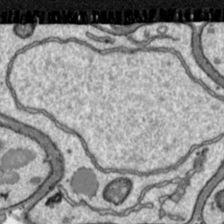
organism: Toxoplasma gondii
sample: Parasites in a vacuole inside a host cell